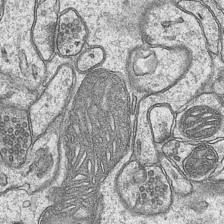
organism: Mouse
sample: CA1 Hippocampus